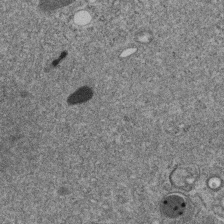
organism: C. elegans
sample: C. elegans embryo early stage